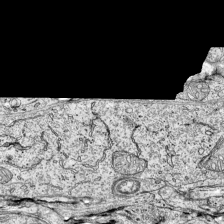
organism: Mouse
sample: Visual Cortex